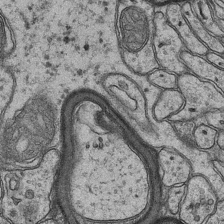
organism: Mouse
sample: CA1 Hippocampus